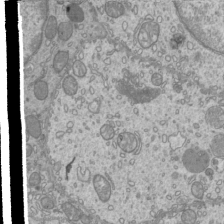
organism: Mouse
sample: Cilia; mouse epididymis